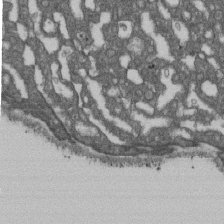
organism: Drosophila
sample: Nephrocyte